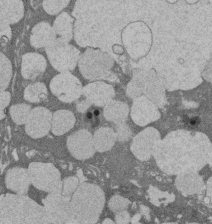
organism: Rat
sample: Salivary granule